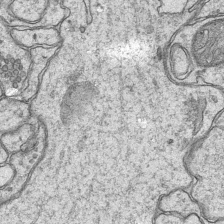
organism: Mouse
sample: CA1 Hippocampus